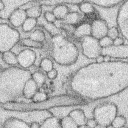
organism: Rabbit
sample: Retina